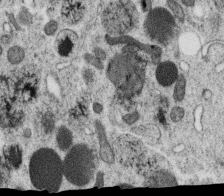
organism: C. elegans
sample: C. elegans oocyte; sperm cells